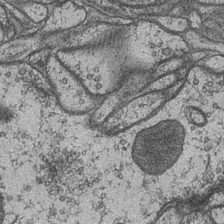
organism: Drosophila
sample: Optic medulla